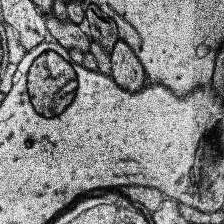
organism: Human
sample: Temporal Lobe